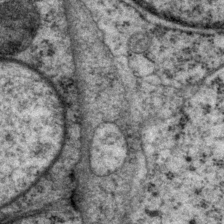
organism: P. pacificus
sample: Pharynx